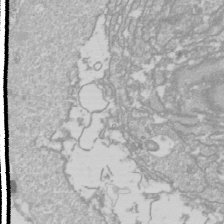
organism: Drosophila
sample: Cell division; meiosis; drosophila spermatocytes